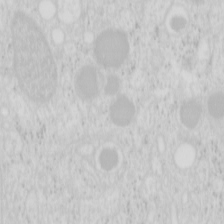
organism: Mouse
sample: Pancreas